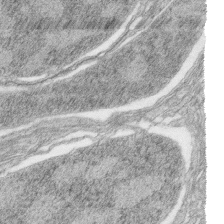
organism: Zebrafish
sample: synaptic ribbons in rod cells and cone cells